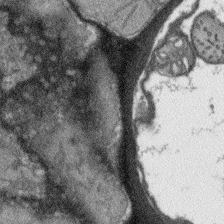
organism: Arabidopsis thaliana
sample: Root tip